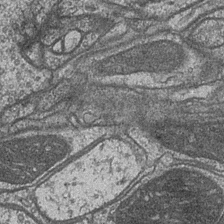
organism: Drosophila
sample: Optic medulla